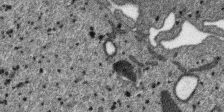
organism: Human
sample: Lung epithelial cells infected with SARS-CoV-2